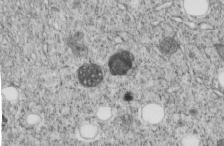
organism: C. elegans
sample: C. elegans embryo early stage